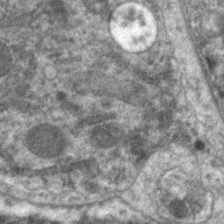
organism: C. elegans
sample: Pharynx